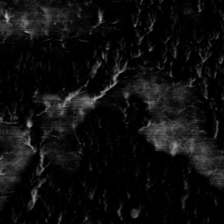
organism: Toxoplasma gondii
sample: Parasites in a vacuole inside a host cell